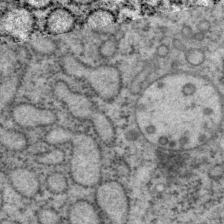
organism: P. pacificus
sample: Pharynx